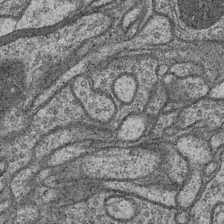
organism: Drosophila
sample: Optic medulla